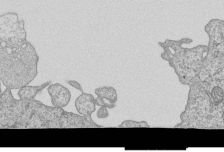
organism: Human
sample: MDA-MB-231 cells